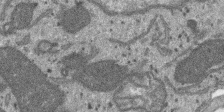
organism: Human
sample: Lung epithelial cells infected with SARS-CoV-2